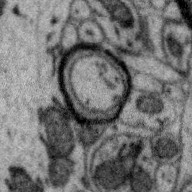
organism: Zebra finch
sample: Brain